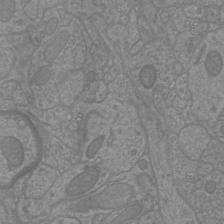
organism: Mouse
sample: Cortical neurons